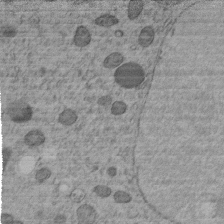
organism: C. elegans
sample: C. elegans embryo early stage